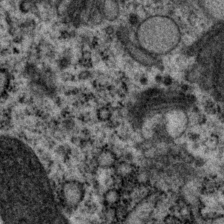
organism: P. pacificus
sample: Pharynx